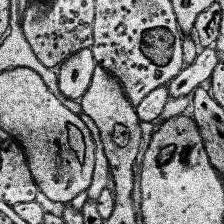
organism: Human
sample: Temporal Lobe